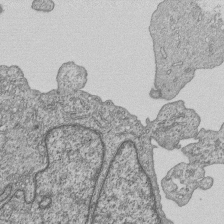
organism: Human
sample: MDA-MB-231 cells